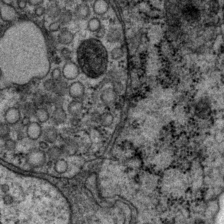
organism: P. pacificus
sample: Pharynx